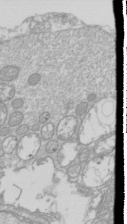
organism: Drosophila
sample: Cell division; meiosis; drosophila spermatocytes